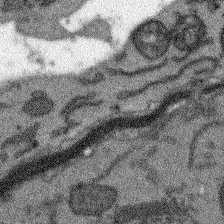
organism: Arabidopsis thaliana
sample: Root tip